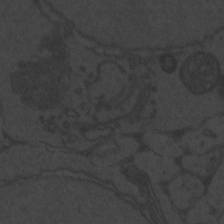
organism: Zebrafish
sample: Macrophage infected with Toxoplasma gondii